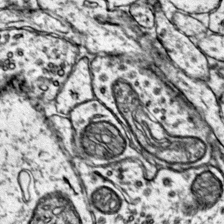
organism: Mouse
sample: Primary visual cortex